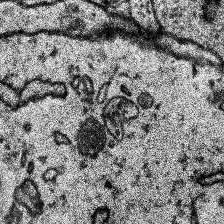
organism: Human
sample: Temporal Lobe